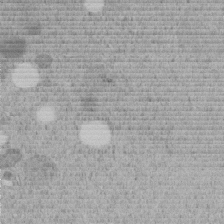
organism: C. elegans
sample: C. elegans embryo early stage